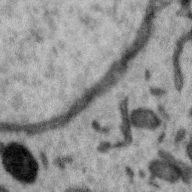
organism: Zebra finch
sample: Brain